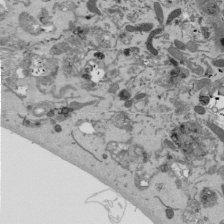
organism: Mouse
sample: ED-1 cell nuclei; centrioles